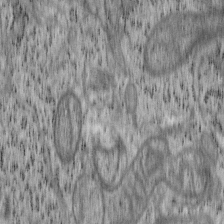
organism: Human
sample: HeLa cells